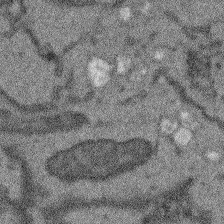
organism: Arabidopsis thaliana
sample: Root tip